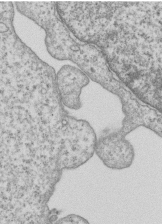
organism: Human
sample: MDA-MB-231 cells